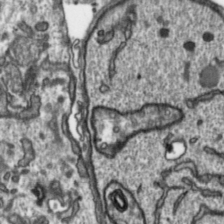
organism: Toxoplasma gondii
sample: Parasites in a vacuole inside a host cell